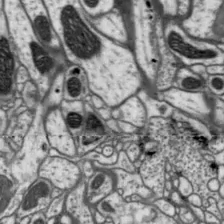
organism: Drosophila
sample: Protocerebral bridge